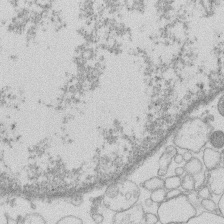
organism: Human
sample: Macrophage cells